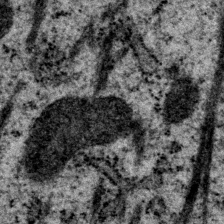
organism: P. pacificus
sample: Pharynx